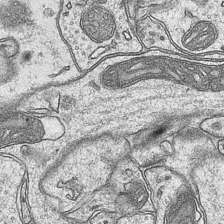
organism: Mouse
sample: CA1 Hippocampus